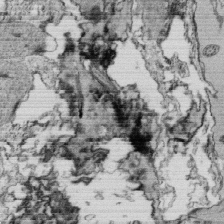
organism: Tetrahymena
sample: Cilia in tetrahymena